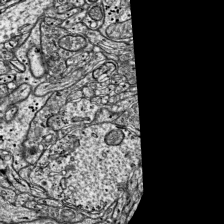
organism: Mouse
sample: Visual Cortex